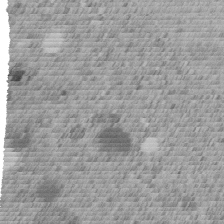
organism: C. elegans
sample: C. elegans embryo early stage